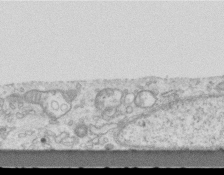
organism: Mouse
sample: Centriole in ependymal cells